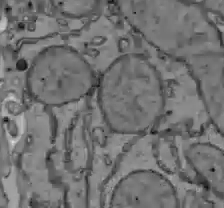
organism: C57BL Mouse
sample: Liver